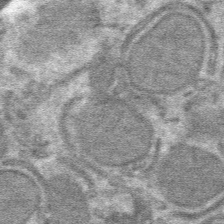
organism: Mouse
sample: Mouse hepatocytes